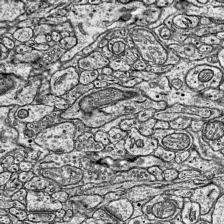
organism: Mouse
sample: Visual Cortex